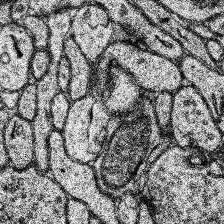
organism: Human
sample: Temporal Lobe